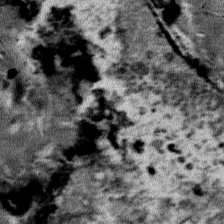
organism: Mouse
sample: Mouse Salivary gland